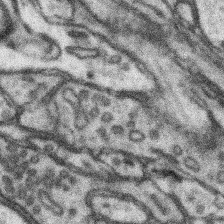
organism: Mouse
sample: Somatosensory cortex neuropil